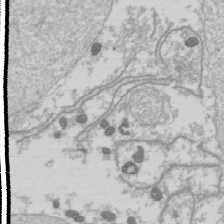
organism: Drosophila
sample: Cell division; meiosis; drosophila spermatocytes